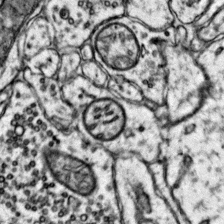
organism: Mouse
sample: Primary visual cortex